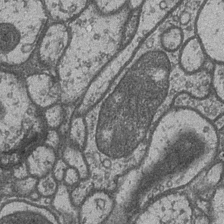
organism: Drosophila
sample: Optic medulla